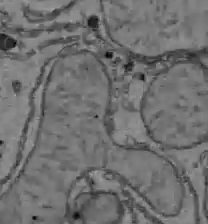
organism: C57BL Mouse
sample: Liver